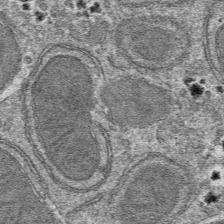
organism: Mouse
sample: Mouse hepatocytes